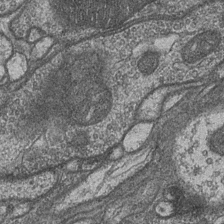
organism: Drosophila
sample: Optic medulla